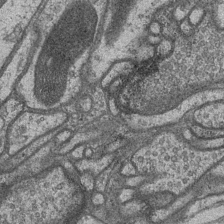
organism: Drosophila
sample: Optic medulla